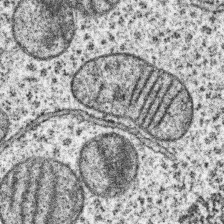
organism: Human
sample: HeLa cells